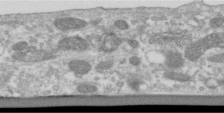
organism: Human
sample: Centriole in RPE cells